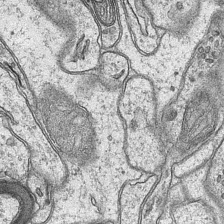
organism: Mouse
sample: CA1 Hippocampus